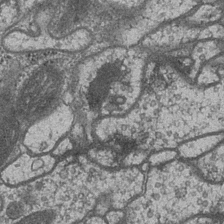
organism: Drosophila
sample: Optic medulla